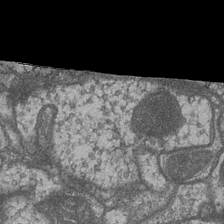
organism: Drosophila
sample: Optic medulla